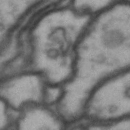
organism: Drosophila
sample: Brain